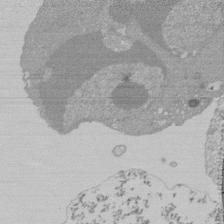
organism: Mouse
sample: Activated Pmel transgenic CD8+ T Cells